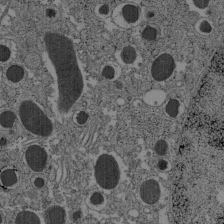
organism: C57BL Mouse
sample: Pancreatic islet